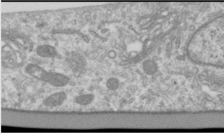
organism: Human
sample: Cilia; basal body in RPE cells